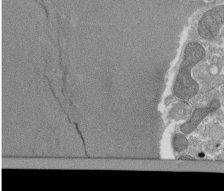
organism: Tetrahymena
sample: Cilia in tetrahymena